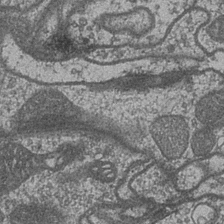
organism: Drosophila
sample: Optic medulla